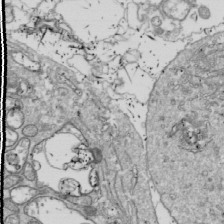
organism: Drosophila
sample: Cell division; meiosis; drosophila spermatocytes